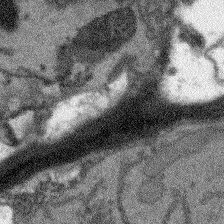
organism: Arabidopsis thaliana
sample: Root tip